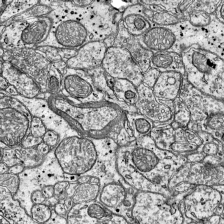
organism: Mouse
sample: Visual Cortex